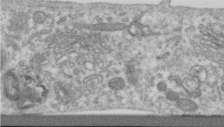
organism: Human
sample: Centriole in RPE cells